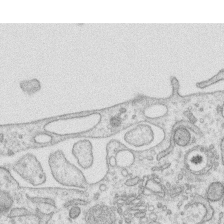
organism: Human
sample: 1205lu cells